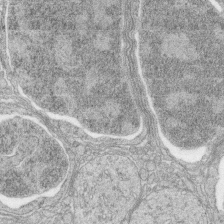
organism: Zebrafish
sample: synaptic ribbons in rod cells and cone cells